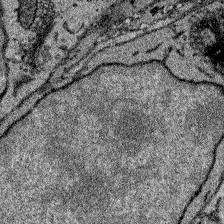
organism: Zebrafish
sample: Larval olfactory bulb